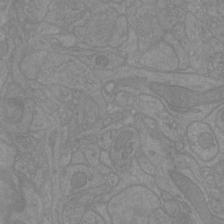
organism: Mouse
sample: Cortical neurons